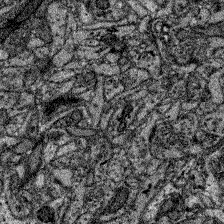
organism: Zebrafish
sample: Larval olfactory bulb